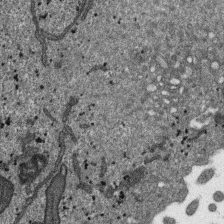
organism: Human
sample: Lung epithelial cells infected with SARS-CoV-2